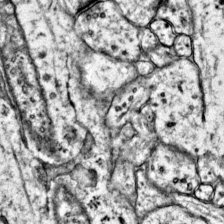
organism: Mouse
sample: Primary visual cortex